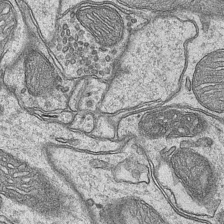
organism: Mouse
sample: CA1 Hippocampus